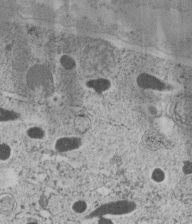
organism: C. elegans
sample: C. elegans embryo early stage